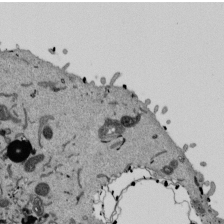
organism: Mouse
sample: ED-1 cell nuclei; centrioles